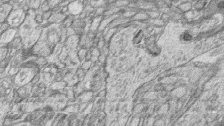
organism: Zebrafish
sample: synaptic ribbons in rod cells and cone cells